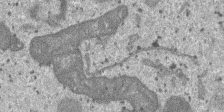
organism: Human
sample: Lung epithelial cells infected with SARS-CoV-2